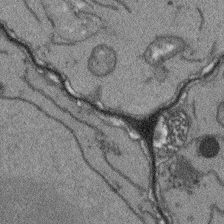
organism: Arabidopsis thaliana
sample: Root tip